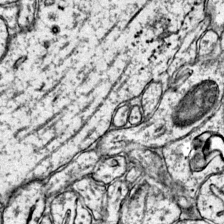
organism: Mouse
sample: Primary visual cortex